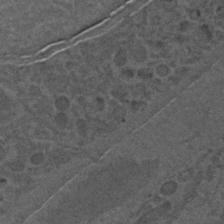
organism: C. elegans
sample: C. elegans embryo